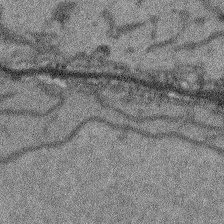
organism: Arabidopsis thaliana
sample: Root tip